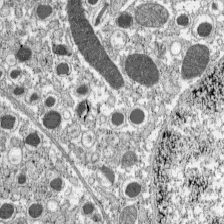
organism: C57BL Mouse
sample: Pancreatic islet